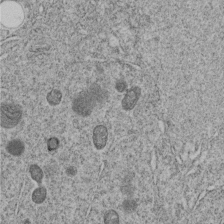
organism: C. elegans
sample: C. elegans embryo early stage